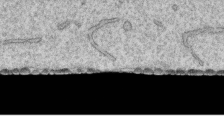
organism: Human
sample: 1205lu cells